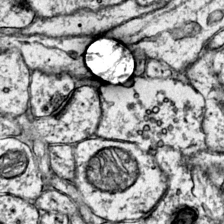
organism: Mouse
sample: Primary visual cortex